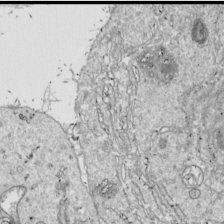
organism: Drosophila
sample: Cell division; meiosis; drosophila spermatocytes